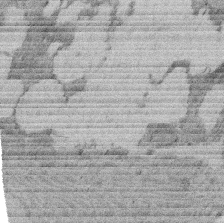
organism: Rat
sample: Salivary granule